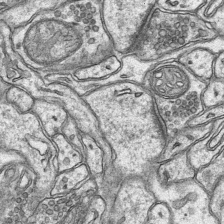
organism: Mouse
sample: CA1 Hippocampus